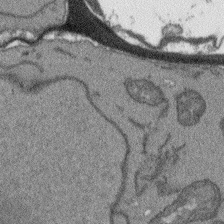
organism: Arabidopsis thaliana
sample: Root tip